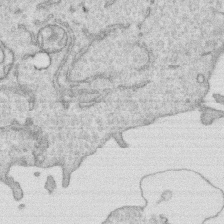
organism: Human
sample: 1205lu cells